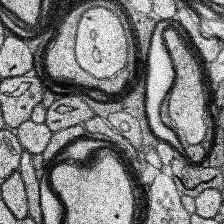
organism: Human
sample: Temporal Lobe